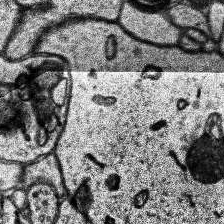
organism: Human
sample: Temporal Lobe